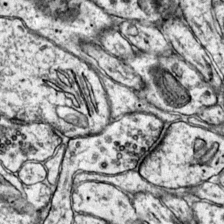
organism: Mouse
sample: Primary visual cortex